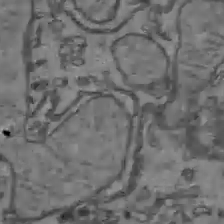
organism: C57BL Mouse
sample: Liver